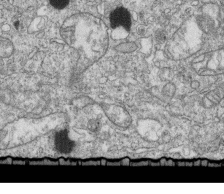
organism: Human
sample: HeLa cell HIV synapse